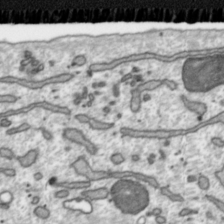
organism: Toxoplasma gondii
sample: Parasites in a vacuole inside a host cell